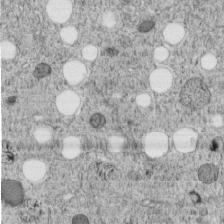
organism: C. elegans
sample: C. elegans embryo early stage